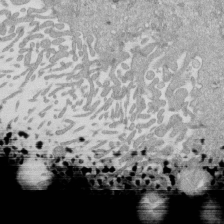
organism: Mouse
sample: ED-1 cell nuclei; centrioles